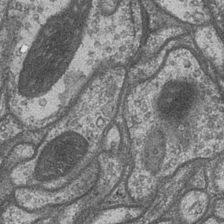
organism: Drosophila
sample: Optic medulla